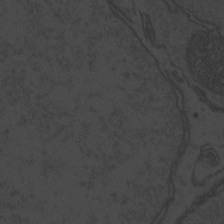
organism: Zebrafish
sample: Macrophage infected with Toxoplasma gondii